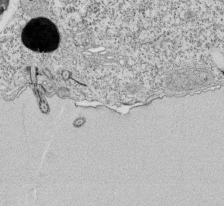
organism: Tetrahymena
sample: Cilia in tetrahymena